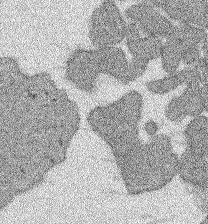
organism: Human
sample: HeLa cells